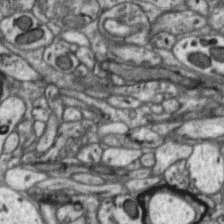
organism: Zebra finch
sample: Brain